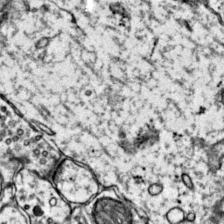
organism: Mouse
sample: Primary visual cortex